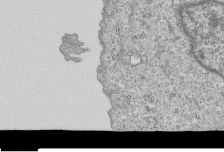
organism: Human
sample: MDA-MB-231 cells